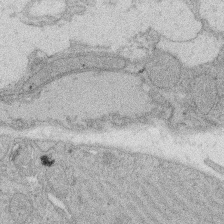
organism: Rat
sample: Salivary granule